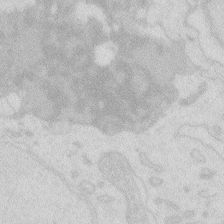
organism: Zebrafish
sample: Macrophage